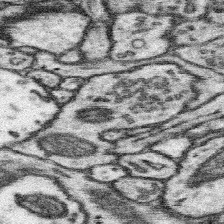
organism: Mouse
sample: Somatosensory cortex neuropil